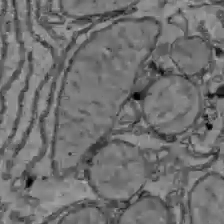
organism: C57BL Mouse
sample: Liver